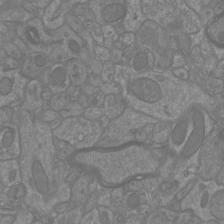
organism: Mouse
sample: Cortical neurons